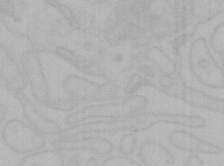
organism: Mouse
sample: Choroid plexus